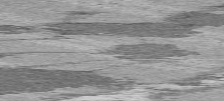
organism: C57BL Mouse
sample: Heart